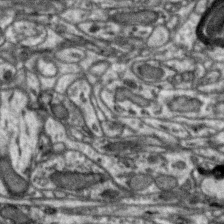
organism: Zebra finch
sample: Brain